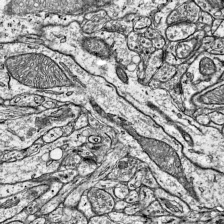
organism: Mouse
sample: Visual Cortex